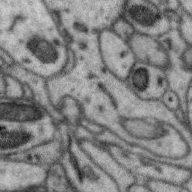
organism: Zebra finch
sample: Brain